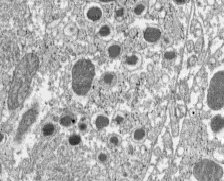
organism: C57BL Mouse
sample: Pancreatic islet